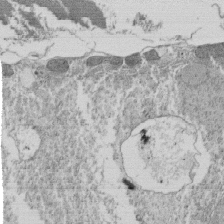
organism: Tetrahymena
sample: Cilia in tetrahymena